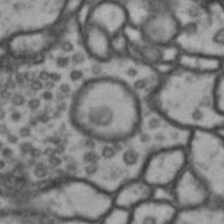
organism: Drosophila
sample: Brain